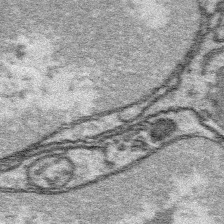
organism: Platynereis dumerilii